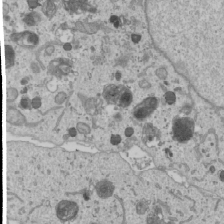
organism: Human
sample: Mitochondria in U2OS cells